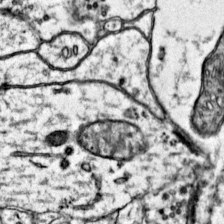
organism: Mouse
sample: Primary visual cortex